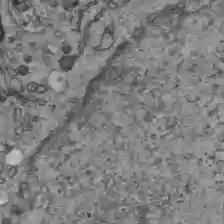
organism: C57BL Mouse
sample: Liver